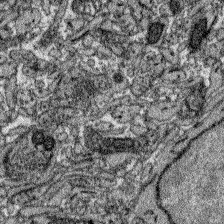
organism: Zebrafish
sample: Larval olfactory bulb